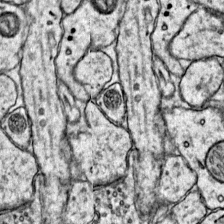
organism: Mouse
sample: Primary visual cortex